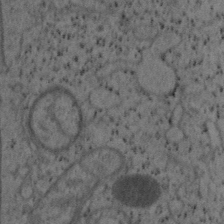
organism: Human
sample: HeLa cells